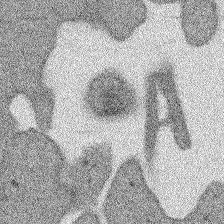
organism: Human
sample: HeLa cells